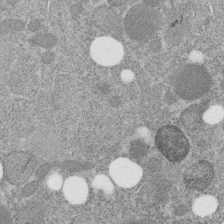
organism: C. elegans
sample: C. elegans embryo early stage